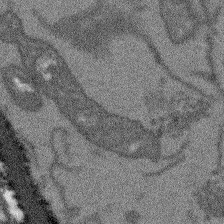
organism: Arabidopsis thaliana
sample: Root tip